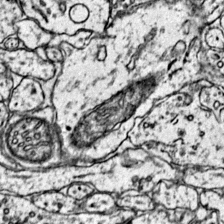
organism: Mouse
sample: Primary visual cortex